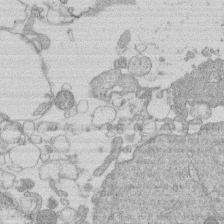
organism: Human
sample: Macrophage cells